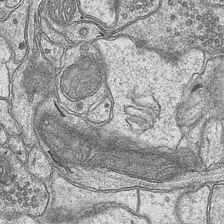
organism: Mouse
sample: CA1 Hippocampus